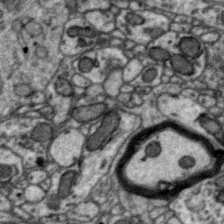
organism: Zebra finch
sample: Brain